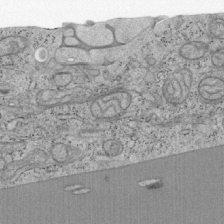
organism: Human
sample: HeLa cells